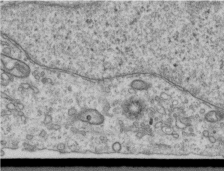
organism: Human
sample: Centriole in RPE cells